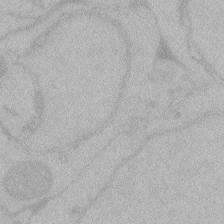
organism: Zebrafish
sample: Macrophage infected with Toxoplasma gondii